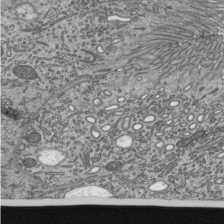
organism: Mouse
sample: Mouse epididymis efferent ductule cilia